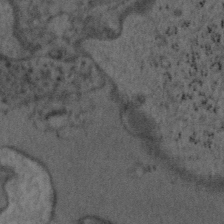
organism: Human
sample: HeLa cells